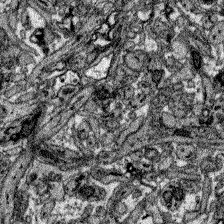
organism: Zebrafish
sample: Larval olfactory bulb